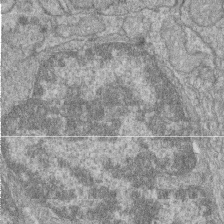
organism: Zebrafish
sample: Cilia; retinal pigment epithelium